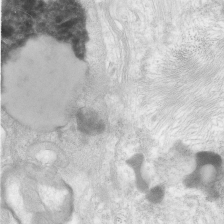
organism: Human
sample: Neocortex